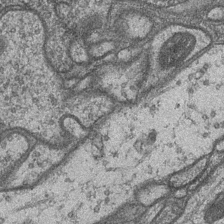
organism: Drosophila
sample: Optic medulla